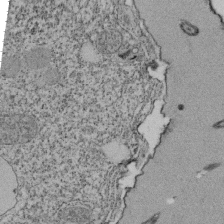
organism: Tetrahymena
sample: Cilia in tetrahymena